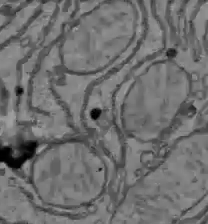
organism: C57BL Mouse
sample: Liver